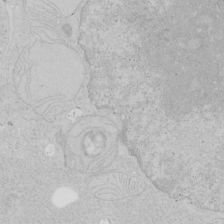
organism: Human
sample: Mitochondria in HCT116 cells